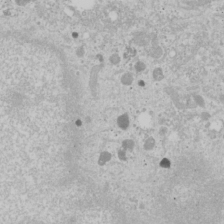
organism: Human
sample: Mitochondria in U2OS cells